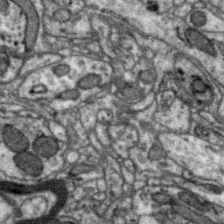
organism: Zebra finch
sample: Brain